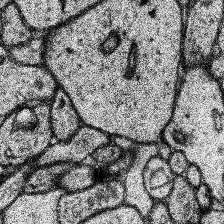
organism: Human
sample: Temporal Lobe